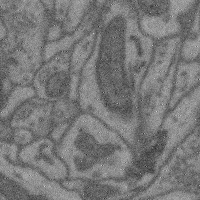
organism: Mouse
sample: Cerebral cortex